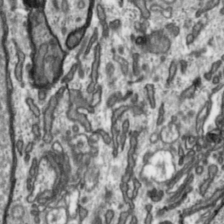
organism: Toxoplasma gondii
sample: Parasites in a vacuole inside a host cell